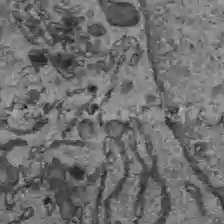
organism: C57BL Mouse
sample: Liver